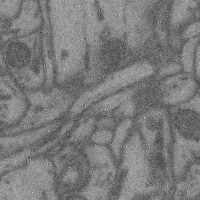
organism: Mouse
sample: Cerebral cortex